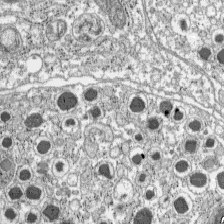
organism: C57BL Mouse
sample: Pancreatic islet